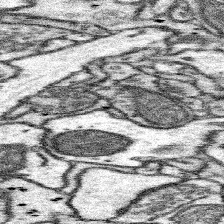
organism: Mouse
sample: Somatosensory cortex neuropil